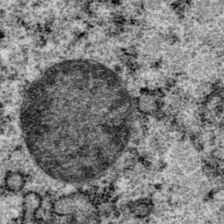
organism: P. pacificus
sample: Pharynx